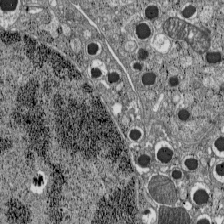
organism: C57BL Mouse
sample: Pancreatic islet